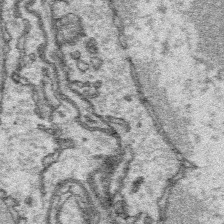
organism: Platynereis dumerilii